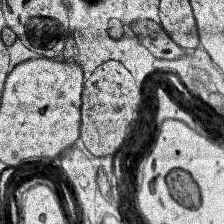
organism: Human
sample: Temporal Lobe